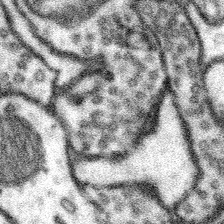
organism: Mouse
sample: Somatosensory cortex neuropil